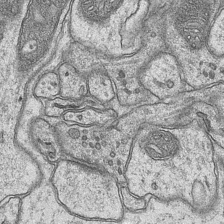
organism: Mouse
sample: CA1 Hippocampus